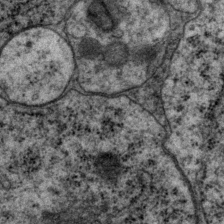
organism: P. pacificus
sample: Pharynx